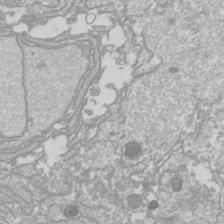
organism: Drosophila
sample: Cell division; meiosis; drosophila spermatocytes